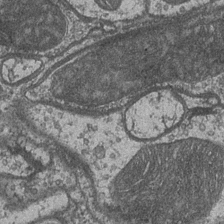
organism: Drosophila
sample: Optic medulla